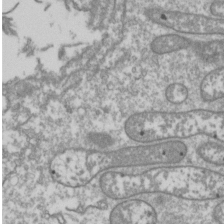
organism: Drosophila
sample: Cell division; meiosis; drosophila spermatocytes